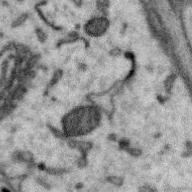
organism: Zebra finch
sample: Brain